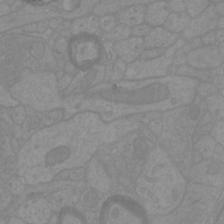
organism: Mouse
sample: Cortical neurons